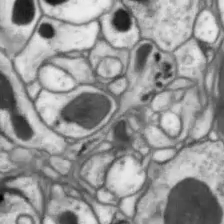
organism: Drosophila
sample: Optic lobe